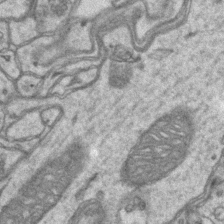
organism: Mouse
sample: CA1 Hippocampus